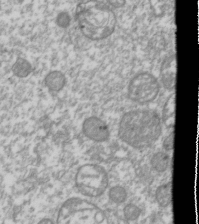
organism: Drosophila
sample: Cell division; meiosis; drosophila spermatocytes